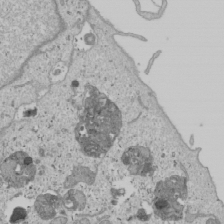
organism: Human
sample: Mitochondria in U2OS cells